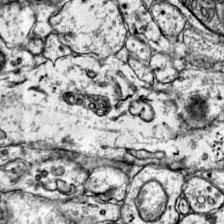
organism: Mouse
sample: Primary visual cortex